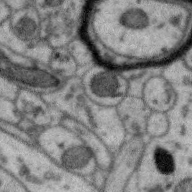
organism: Zebra finch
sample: Brain